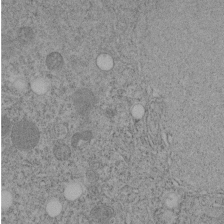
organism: C. elegans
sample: C. elegans embryo early stage